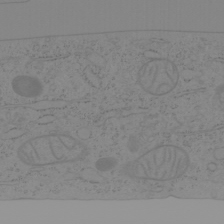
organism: Human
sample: HeLa cells